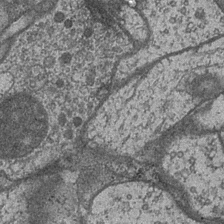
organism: Drosophila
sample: Optic medulla